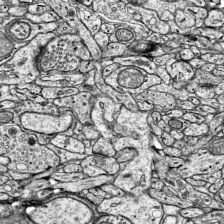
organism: Mouse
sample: Visual Cortex